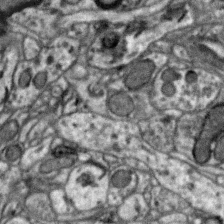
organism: Zebra finch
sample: Brain